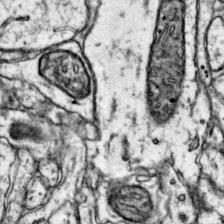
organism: Mouse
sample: Primary visual cortex